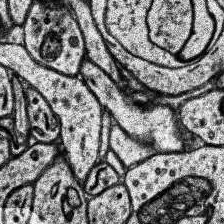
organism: Human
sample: Temporal Lobe